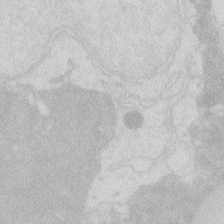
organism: Zebrafish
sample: Macrophage